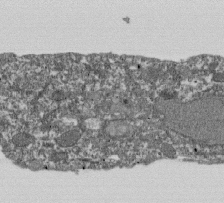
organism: Dictyostelium discoideum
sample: Dictyostelium multivesicular bodies